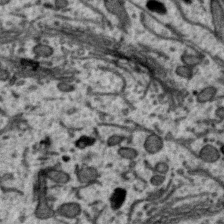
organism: Zebra finch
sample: Brain